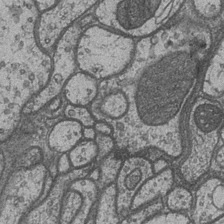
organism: Drosophila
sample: Optic medulla